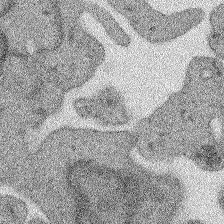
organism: Human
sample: HeLa cells